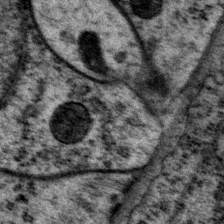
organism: P. pacificus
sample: Pharynx